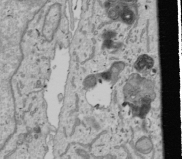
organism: Human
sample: Mitochondria in U2OS cells